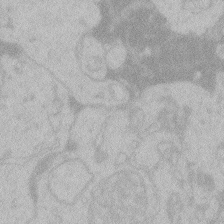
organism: Zebrafish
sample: Macrophage infected with Toxoplasma gondii